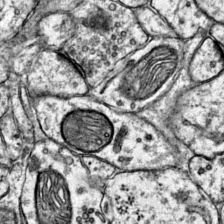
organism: Mouse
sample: Primary visual cortex